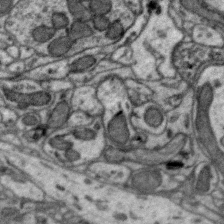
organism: Zebra finch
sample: Brain